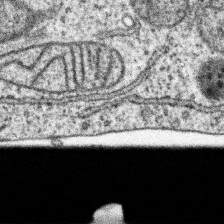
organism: Human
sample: HeLa cells